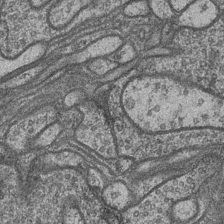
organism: Drosophila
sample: Optic medulla